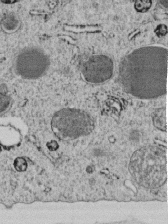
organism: C. elegans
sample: C. elegans embryo early stage